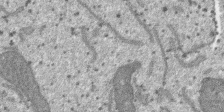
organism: Human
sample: Lung epithelial cells infected with SARS-CoV-2